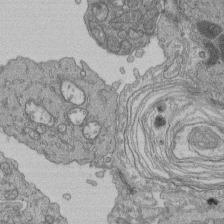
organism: Human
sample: Retinal organoid Rod and Cone cells